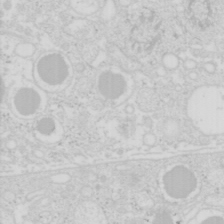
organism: Mouse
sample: Pancreas